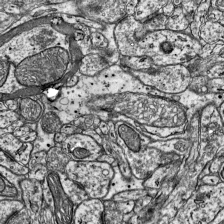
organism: Mouse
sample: Visual Cortex